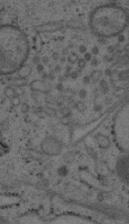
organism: Human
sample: HeLa cells